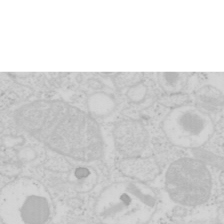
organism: Mouse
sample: Pancreas